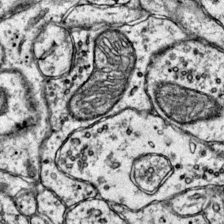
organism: Mouse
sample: Primary visual cortex